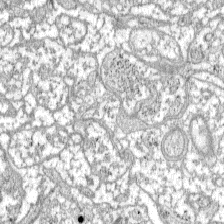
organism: C57BL Mouse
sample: Pancreatic islet